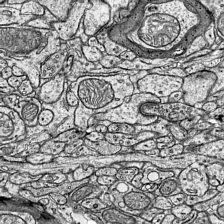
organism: Mouse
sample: Visual Cortex